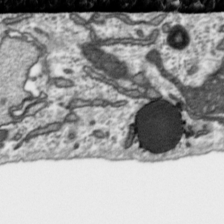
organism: Toxoplasma gondii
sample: Parasites in a vacuole inside a host cell